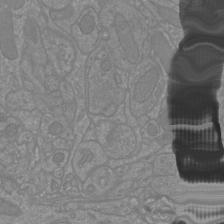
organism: Mouse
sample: Cortical neurons